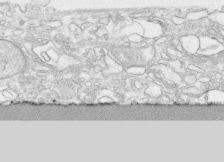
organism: Human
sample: CRL-1474